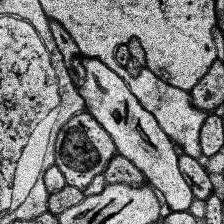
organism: Human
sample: Temporal Lobe